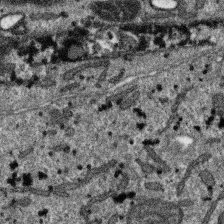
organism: Human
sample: Lung epithelial cells infected with SARS-CoV-2